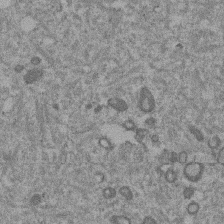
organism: Mouse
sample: Dividing mouse embryo 1 cell stage